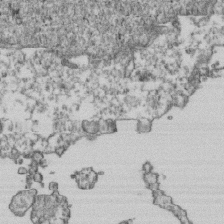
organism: Human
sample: Activated Jurkat CD4+ T cells